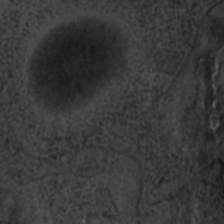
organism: C. elegans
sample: C. elegans embryo